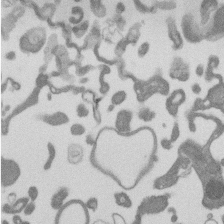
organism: Mouse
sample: Dividing mouse embryo 1 cell stage